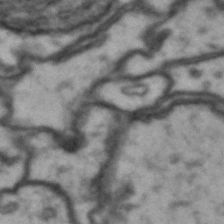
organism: Drosophila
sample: Brain